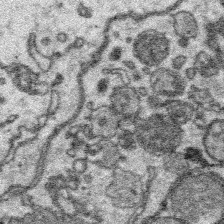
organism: Platynereis dumerilii